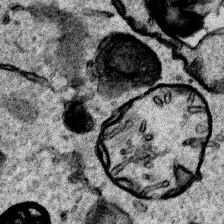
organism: Human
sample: Mitochondria in HCT116 cells